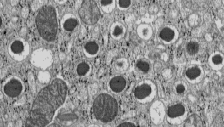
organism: C57BL Mouse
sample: Pancreatic islet